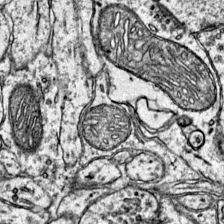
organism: Mouse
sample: Primary visual cortex